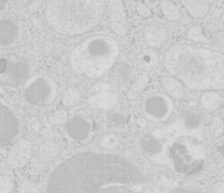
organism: Mouse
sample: Pancreas